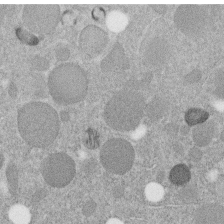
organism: C. elegans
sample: C. elegans embryo early stage